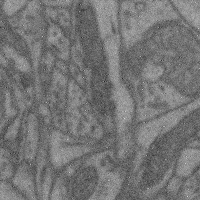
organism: Mouse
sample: Cerebral cortex